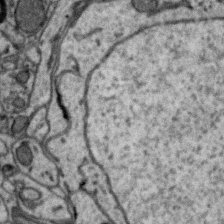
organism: Zebra finch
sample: Brain